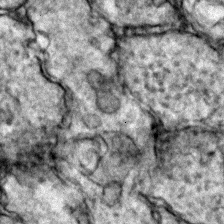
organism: Zebrafish